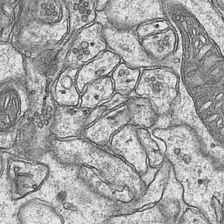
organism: Mouse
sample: CA1 Hippocampus